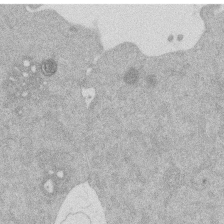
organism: Mouse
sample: Dividing mouse embryo 1 cell stage